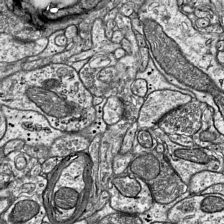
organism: Mouse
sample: Visual Cortex